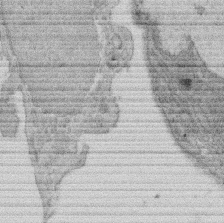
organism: Rat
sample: Salivary granule